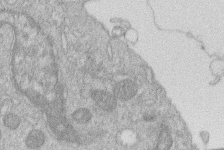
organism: Human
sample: Macrophage cells